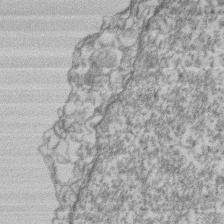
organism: Mouse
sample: T cell stromal cell synapse